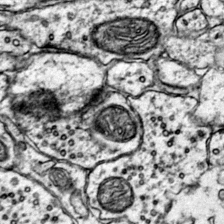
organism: Mouse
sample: Primary visual cortex